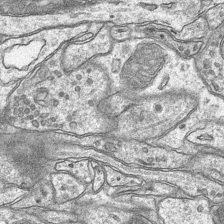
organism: Mouse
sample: CA1 Hippocampus